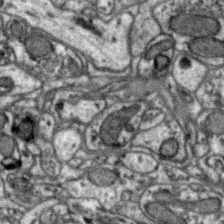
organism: Zebra finch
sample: Brain